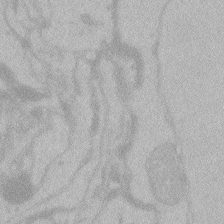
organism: Zebrafish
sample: Macrophage infected with Toxoplasma gondii